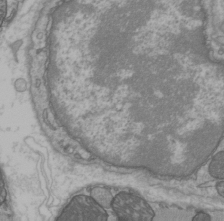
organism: C57BL Mouse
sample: Heart